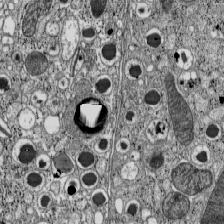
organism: C57BL Mouse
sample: Pancreatic islet